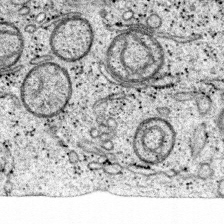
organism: Human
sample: HeLa cells